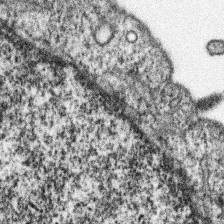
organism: Human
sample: HeLa cells